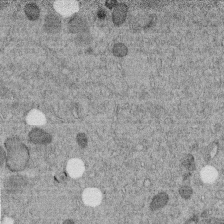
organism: C. elegans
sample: C. elegans embryo early stage